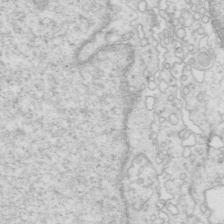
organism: Mouse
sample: Multiciliated cells